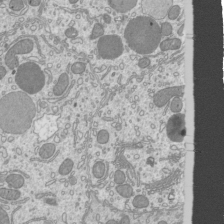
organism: Mouse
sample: Cilia; mouse epididymis